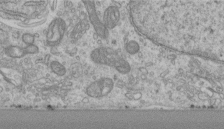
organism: Human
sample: Centriole in RPE cells